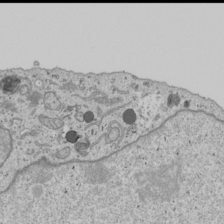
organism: Human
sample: Mitochondria in U2OS cells